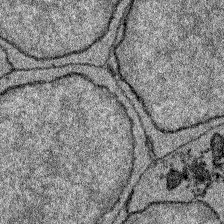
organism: Zebrafish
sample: Larval olfactory bulb